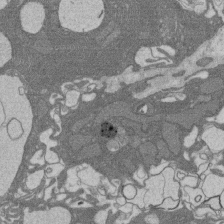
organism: Rat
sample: Salivary granule